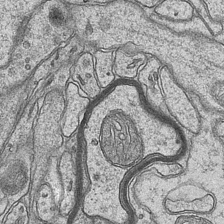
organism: Mouse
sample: CA1 Hippocampus